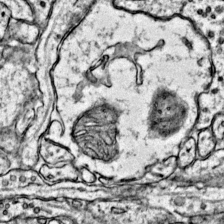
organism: Mouse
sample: Primary visual cortex